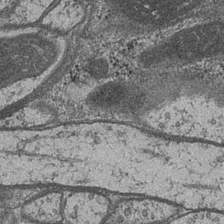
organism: Drosophila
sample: Optic medulla